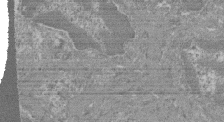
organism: Mouse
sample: Glomerulus